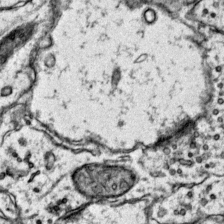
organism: Mouse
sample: Primary visual cortex